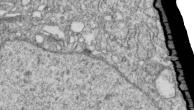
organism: Human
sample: HeLa cell HIV synapse